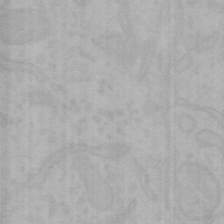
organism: Mouse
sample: Choroid plexus